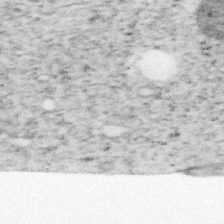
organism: Mouse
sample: OT-I killer T cells with ID8 ovarian cancer cells